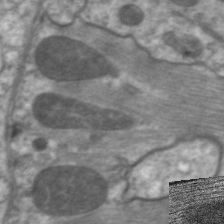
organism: C. elegans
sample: Pharynx